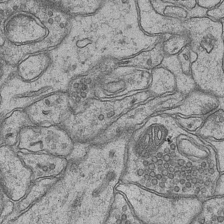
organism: Mouse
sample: CA1 Hippocampus